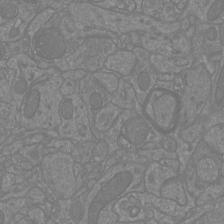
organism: Mouse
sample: Cortical neurons